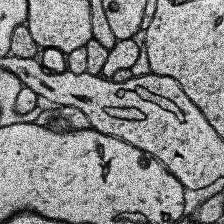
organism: Human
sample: Temporal Lobe